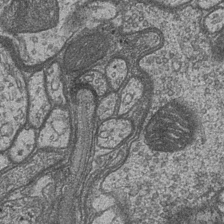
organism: Drosophila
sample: Optic medulla